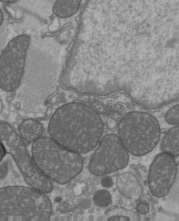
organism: C57BL Mouse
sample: Heart